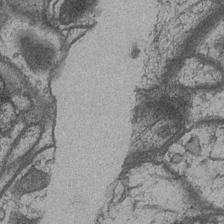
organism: Drosophila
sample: Optic medulla